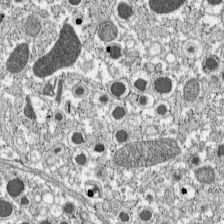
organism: C57BL Mouse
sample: Pancreatic islet